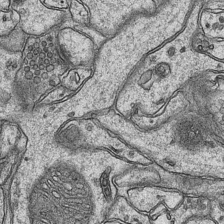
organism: Mouse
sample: CA1 Hippocampus